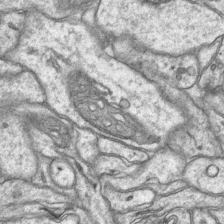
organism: Mouse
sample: CA1 Hippocampus